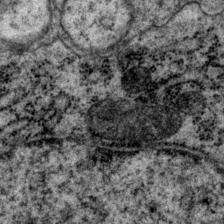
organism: P. pacificus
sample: Pharynx